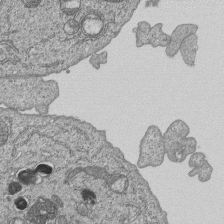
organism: Human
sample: MDA-MB-231 cells